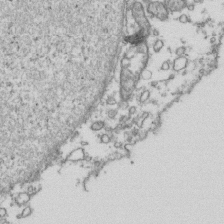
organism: Human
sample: Activated Jurkat CD4+ T cells